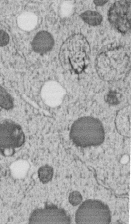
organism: C. elegans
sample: C. elegans embryo early stage